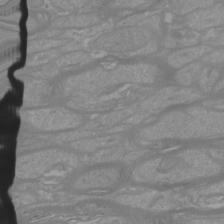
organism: Mouse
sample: Cortical neurons